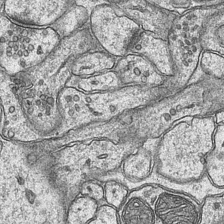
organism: Mouse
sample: CA1 Hippocampus